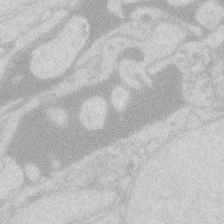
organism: Zebrafish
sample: Macrophage